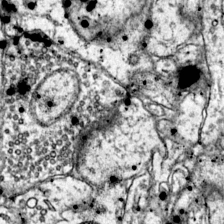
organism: Mouse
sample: Primary visual cortex